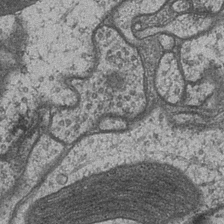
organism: Drosophila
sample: Optic medulla